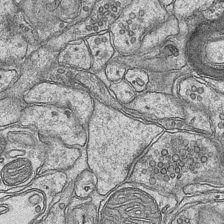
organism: Mouse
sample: CA1 Hippocampus